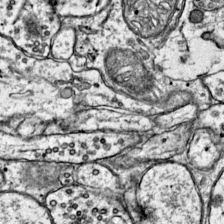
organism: Mouse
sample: Primary visual cortex